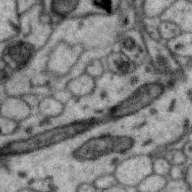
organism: Zebra finch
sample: Brain